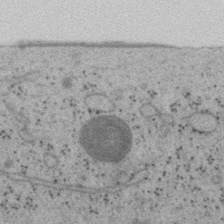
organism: Human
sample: HeLa cells